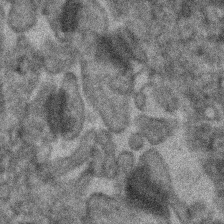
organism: Human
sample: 1205lu cells